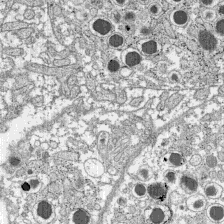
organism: C57BL Mouse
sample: Pancreatic islet